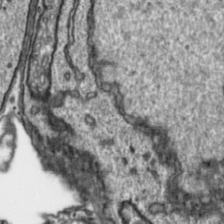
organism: Toxoplasma gondii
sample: Parasites in a vacuole inside a host cell